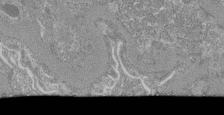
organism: Mouse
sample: Glomerulus